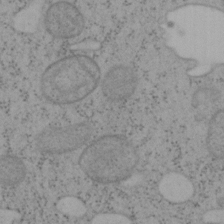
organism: Mouse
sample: OT-I killer T cells with ID8 ovarian cancer cells